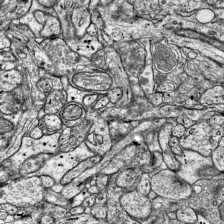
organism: Mouse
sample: Visual Cortex